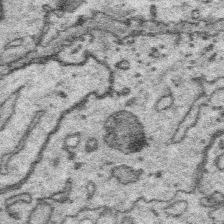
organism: Platynereis dumerilii